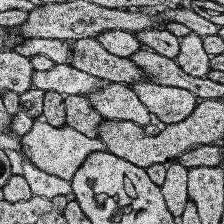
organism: Human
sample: Temporal Lobe